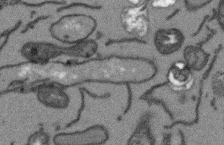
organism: Arabidopsis thaliana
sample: Root tip